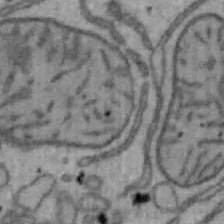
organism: Mouse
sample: Liver